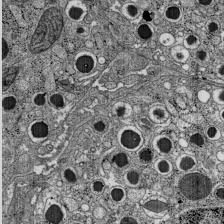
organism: C57BL Mouse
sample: Pancreatic islet